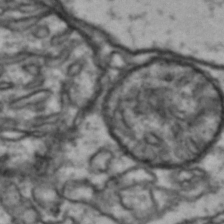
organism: Drosophila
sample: Brain